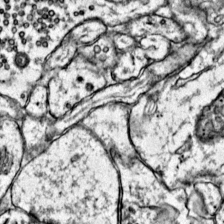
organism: Mouse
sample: Primary visual cortex